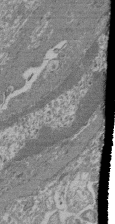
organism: Mouse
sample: Glomerulus